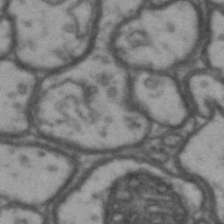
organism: Drosophila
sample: Brain